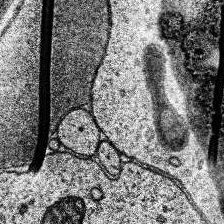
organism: Human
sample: Temporal Lobe